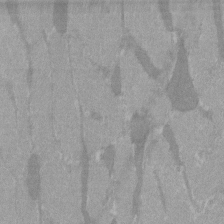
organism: C57BL Mouse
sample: Tibialis anterior muscle cell